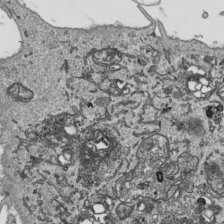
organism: Human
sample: Mitochondria in HCT116 cells